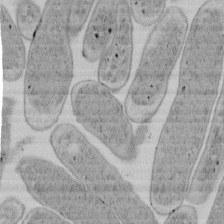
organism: E. coli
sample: Bacterial nucleoid